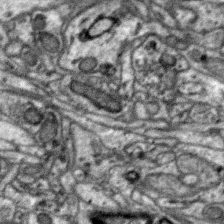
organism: Zebra finch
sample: Brain